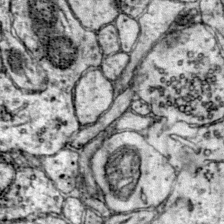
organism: Mouse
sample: Primary visual cortex